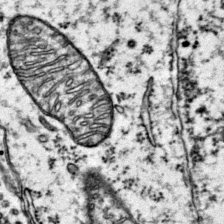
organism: Mouse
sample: Primary visual cortex